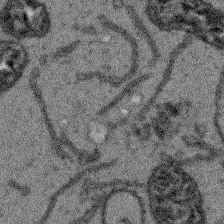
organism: Arabidopsis thaliana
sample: Root tip